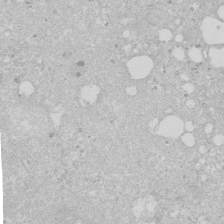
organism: Human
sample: Caco-2 cells